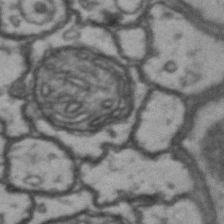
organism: Drosophila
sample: Brain